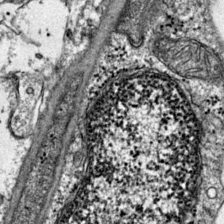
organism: Mouse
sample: Primary visual cortex